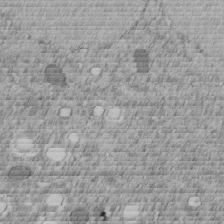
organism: C. elegans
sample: C. elegans embryo early stage